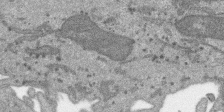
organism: Human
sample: Lung epithelial cells infected with SARS-CoV-2